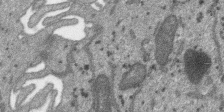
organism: Human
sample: Lung epithelial cells infected with SARS-CoV-2